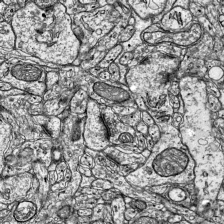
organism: Mouse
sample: Visual Cortex